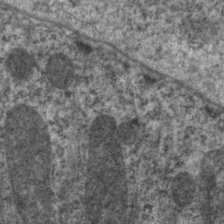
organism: C. elegans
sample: Pharynx